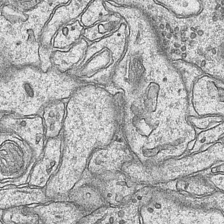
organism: Mouse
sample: CA1 Hippocampus